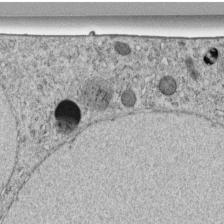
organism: C. elegans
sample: C. elegans embryo early stage